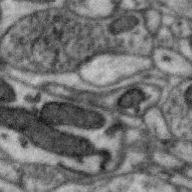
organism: Zebra finch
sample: Brain